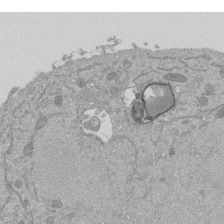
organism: Mouse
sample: ED-1 cell nuclei; centrioles